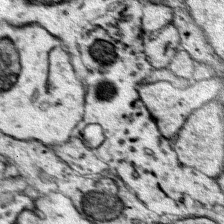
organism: Mouse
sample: Primary visual cortex